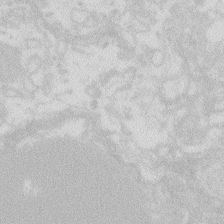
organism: Zebrafish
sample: Macrophage